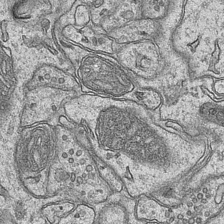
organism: Mouse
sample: CA1 Hippocampus